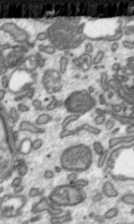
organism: Toxoplasma gondii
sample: Parasites in a vacuole inside a host cell